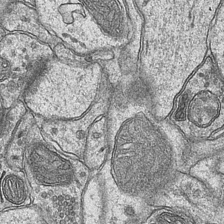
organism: Mouse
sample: CA1 Hippocampus